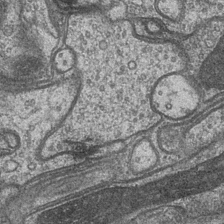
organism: Drosophila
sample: Optic medulla